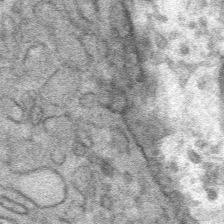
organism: Mouse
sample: Mouse Salivary gland